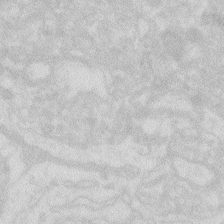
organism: Zebrafish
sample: Macrophage